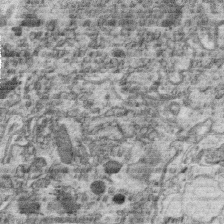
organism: C. elegans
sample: C. elegans oocyte; sperm cells